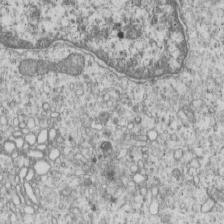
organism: Human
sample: MDA-MB-231 cells